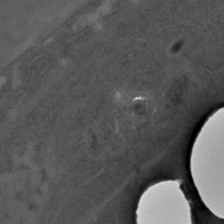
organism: C. elegans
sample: C. elegans embryo